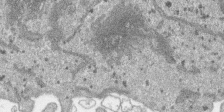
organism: Human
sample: Lung epithelial cells infected with SARS-CoV-2